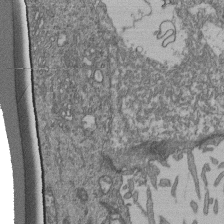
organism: Human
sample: Retinal organoid Rod and Cone cells